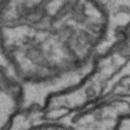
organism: Drosophila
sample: Brain